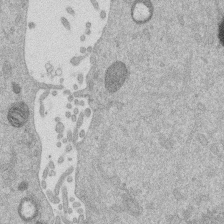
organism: Mouse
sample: Dividing mouse embryo 1 cell stage